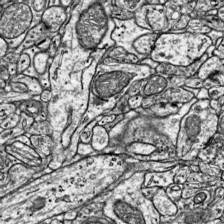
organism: Mouse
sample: Visual Cortex